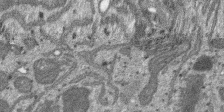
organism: Human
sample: Lung epithelial cells infected with SARS-CoV-2